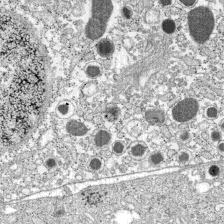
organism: C57BL Mouse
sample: Pancreatic islet